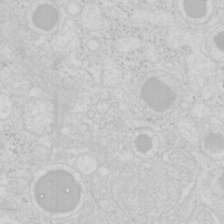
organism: Mouse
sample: Pancreas